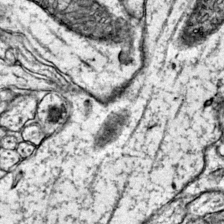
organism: Mouse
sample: Primary visual cortex